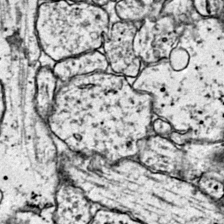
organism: Mouse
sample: Primary visual cortex